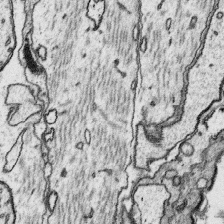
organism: Platynereis dumerilii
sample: Parapodia